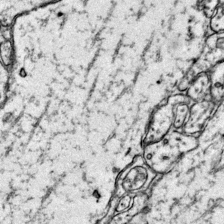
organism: Mouse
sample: Primary visual cortex